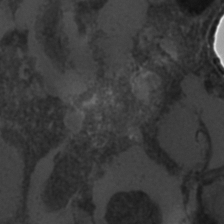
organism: C. elegans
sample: C. elegans embryo